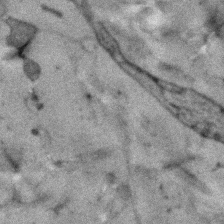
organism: Human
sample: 1205lu cells